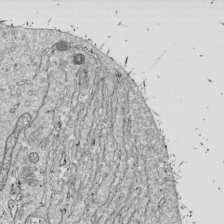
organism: Drosophila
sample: Cell division; meiosis; drosophila spermatocytes